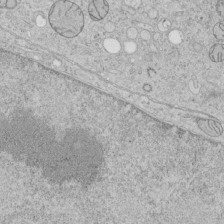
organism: Human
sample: Mitochondria in HCT116 cells